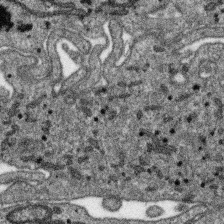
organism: Human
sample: Lung epithelial cells infected with SARS-CoV-2